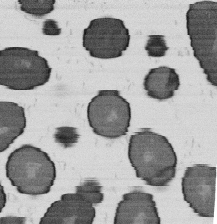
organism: B. subtilis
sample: Bacterial spore